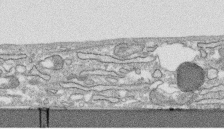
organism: Human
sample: CRL-1474